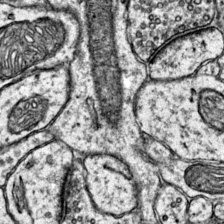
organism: Mouse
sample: Primary visual cortex